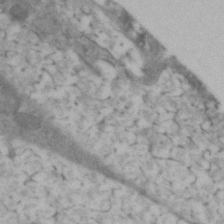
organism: Zebrafish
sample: Zebrafish embryo